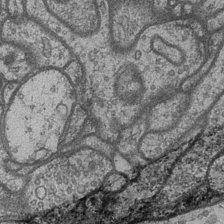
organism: Drosophila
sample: Optic medulla